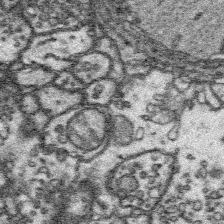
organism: Platynereis dumerilii